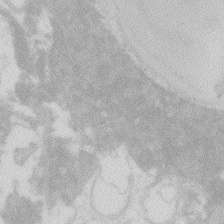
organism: Zebrafish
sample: Macrophage